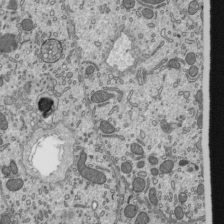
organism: Mouse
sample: Mouse epididymis efferent ductule cilia